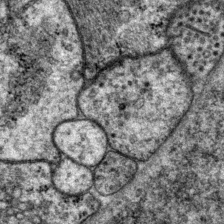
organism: P. pacificus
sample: Pharynx